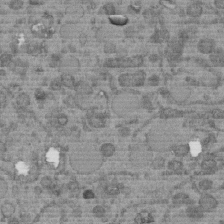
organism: C. elegans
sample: C. elegans embryo early stage